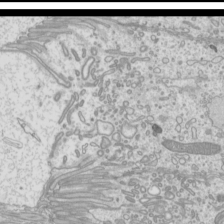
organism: Mouse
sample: Cilia; mouse epididymis